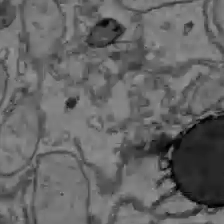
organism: C57BL Mouse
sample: Liver